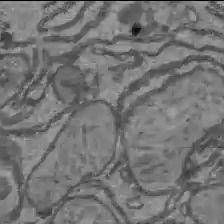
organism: C57BL Mouse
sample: Liver